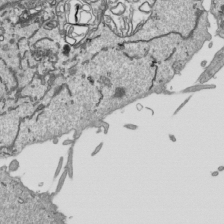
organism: Human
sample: Mitochondria in HCT116 cells